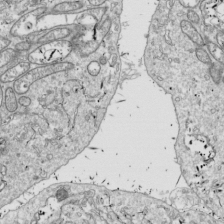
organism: Drosophila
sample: Cell division; meiosis; drosophila spermatocytes